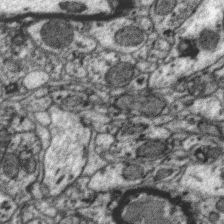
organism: Zebra finch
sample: Brain